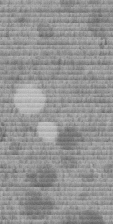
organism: C. elegans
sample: C. elegans embryo early stage